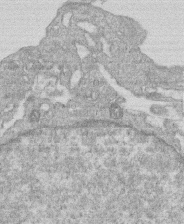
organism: Human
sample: Macrophage cells